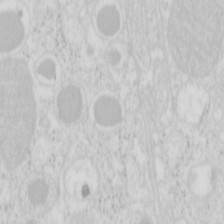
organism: Mouse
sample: Pancreas